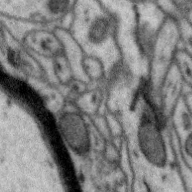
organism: Zebra finch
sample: Brain